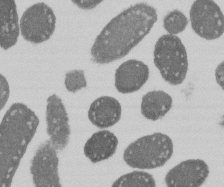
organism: E. coli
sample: Bacterial nucleoid